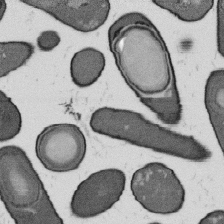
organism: B. subtilis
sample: Bacterial spore